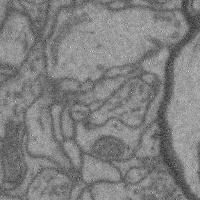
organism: Mouse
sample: Cerebral cortex